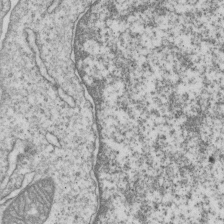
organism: Human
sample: MDA-MB-231 cells